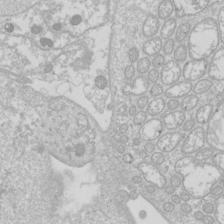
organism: Drosophila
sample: Cell division; meiosis; drosophila spermatocytes